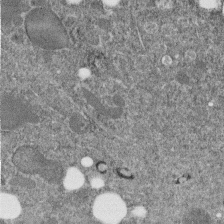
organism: C. elegans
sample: C. elegans embryo early stage